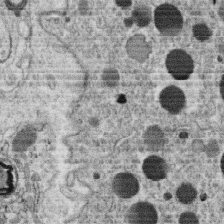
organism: C. elegans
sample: C. elegans oocyte; sperm cells